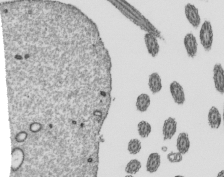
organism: Mouse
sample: Mouse epididymis efferent ductule cilia